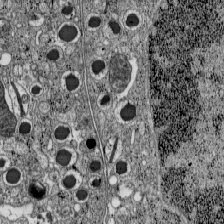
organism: C57BL Mouse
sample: Pancreatic islet